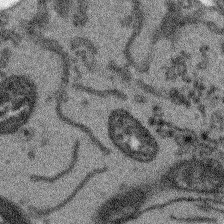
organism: Arabidopsis thaliana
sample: Root tip